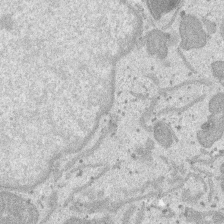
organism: Human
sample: Lung epithelial cells infected with SARS-CoV-2